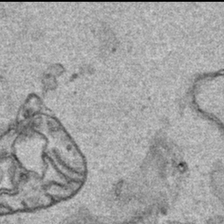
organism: Human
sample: Mitochondria in HCT116 cells